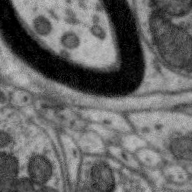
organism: Zebra finch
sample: Brain